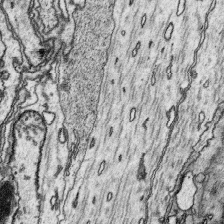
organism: Platynereis dumerilii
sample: Parapodia